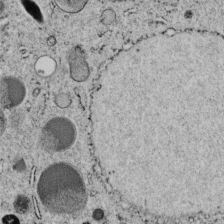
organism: C. elegans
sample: C. elegans embryo early stage